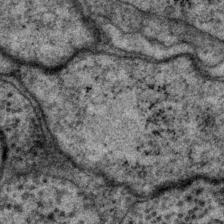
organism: P. pacificus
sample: Pharynx